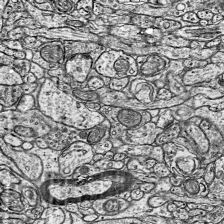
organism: Mouse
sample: Visual Cortex